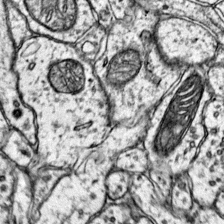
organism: Mouse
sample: Primary visual cortex